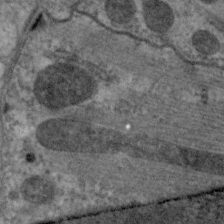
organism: C. elegans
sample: Pharynx